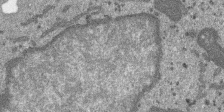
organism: Human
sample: Lung epithelial cells infected with SARS-CoV-2